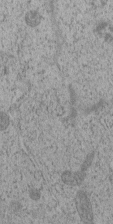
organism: C. elegans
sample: C. elegans embryo early stage